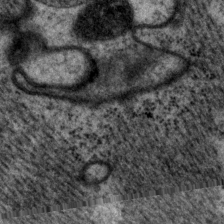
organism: P. pacificus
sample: Pharynx